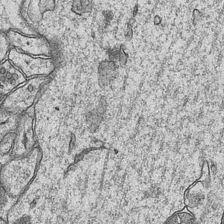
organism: Mouse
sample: CA1 Hippocampus